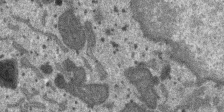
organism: Human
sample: Lung epithelial cells infected with SARS-CoV-2